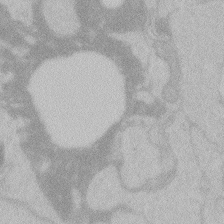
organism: Zebrafish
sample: Macrophage infected with Toxoplasma gondii